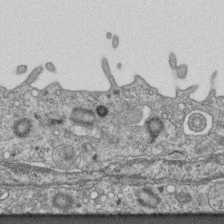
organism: Mouse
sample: Centriole in ependymal cells